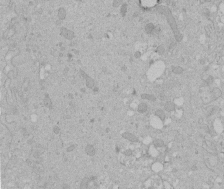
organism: Human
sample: Melanocyte Keratinocyte synapse skin construct